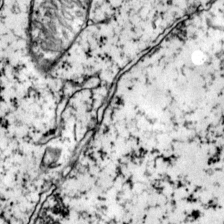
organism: Mouse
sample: Primary visual cortex